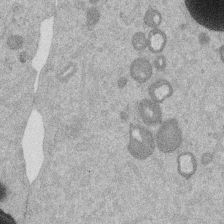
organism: Mouse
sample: Dividing mouse embryo 1 cell stage